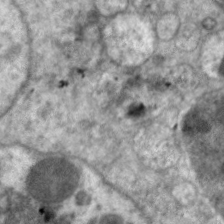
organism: C. elegans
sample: Pharynx